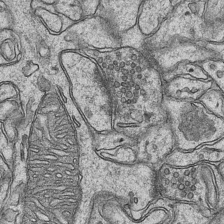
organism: Mouse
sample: CA1 Hippocampus